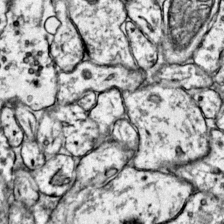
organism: Mouse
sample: Primary visual cortex